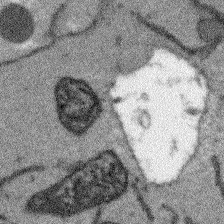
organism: Arabidopsis thaliana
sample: Root tip